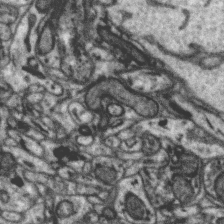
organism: Zebra finch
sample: Brain